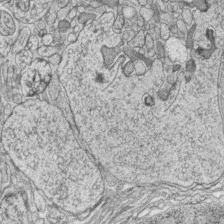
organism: Zebrafish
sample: synaptic ribbons in rod cells and cone cells